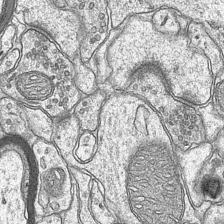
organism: Mouse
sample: CA1 Hippocampus